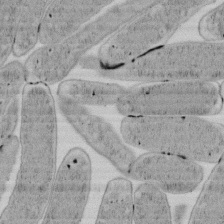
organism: E. coli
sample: Bacterial nucleoid